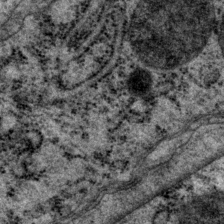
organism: P. pacificus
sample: Pharynx